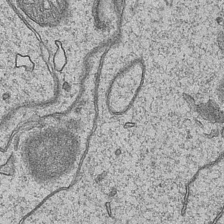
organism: Mouse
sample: CA1 Hippocampus